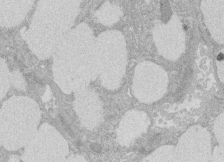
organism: Rat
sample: Salivary granule